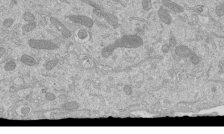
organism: Mouse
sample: ED-1 cell nuclei; centrioles